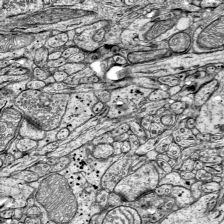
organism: Mouse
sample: Visual Cortex